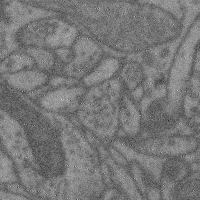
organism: Mouse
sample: Cerebral cortex